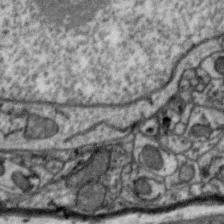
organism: Zebra finch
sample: Brain